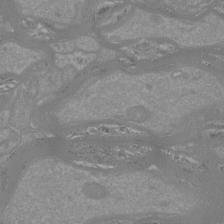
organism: Mouse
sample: Cortical neurons